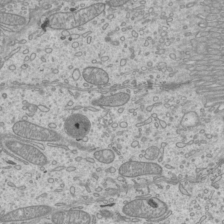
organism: Mouse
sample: Cilia; mouse epididymis